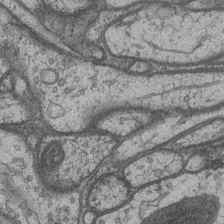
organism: Drosophila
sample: Optic medulla